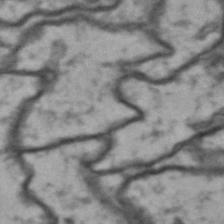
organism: Drosophila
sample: Brain